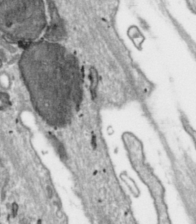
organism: Toxoplasma gondii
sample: Parasites in a vacuole inside a host cell